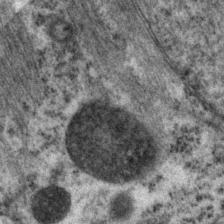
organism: P. pacificus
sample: Pharynx